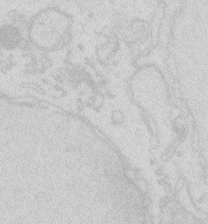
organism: Zebrafish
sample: Macrophage